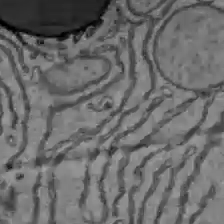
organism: C57BL Mouse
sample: Liver